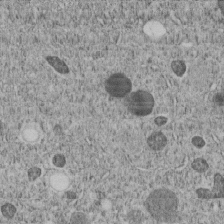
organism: C. elegans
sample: C. elegans embryo early stage